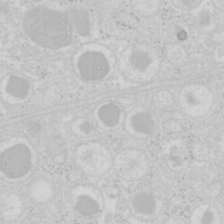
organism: Mouse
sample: Pancreas